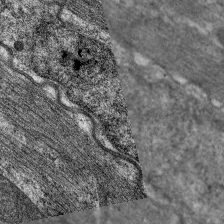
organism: C. elegans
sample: Pharynx